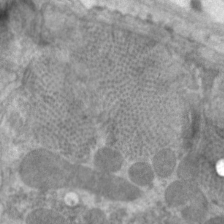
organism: C. elegans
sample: Pharynx